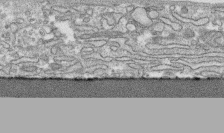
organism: Human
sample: CRL-1474